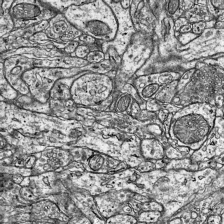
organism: Mouse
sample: Visual Cortex